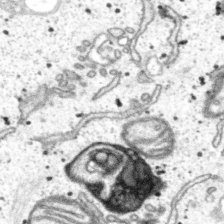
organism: Human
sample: HeLa cells